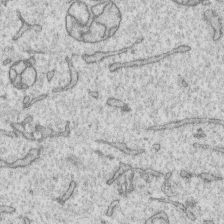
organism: Human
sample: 1205lu cells